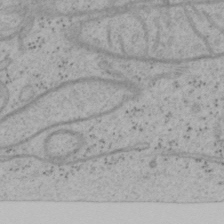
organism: Human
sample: HeLa cells